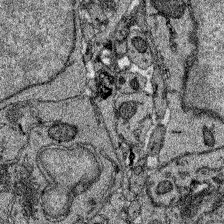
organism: Zebrafish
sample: Larval olfactory bulb